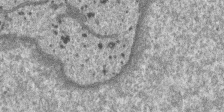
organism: Human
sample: Lung epithelial cells infected with SARS-CoV-2